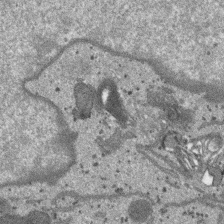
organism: Human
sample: Lung epithelial cells infected with SARS-CoV-2